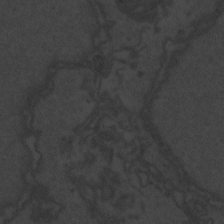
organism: Zebrafish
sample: Macrophage infected with Toxoplasma gondii